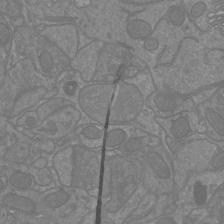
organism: Mouse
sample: Cortical neurons